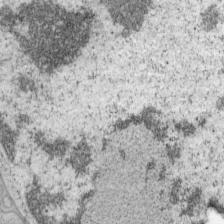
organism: Mouse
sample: OT-I killer T cells with ID8 ovarian cancer cells